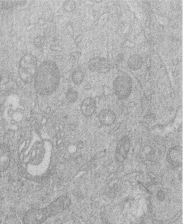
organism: Human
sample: Macrophage cells